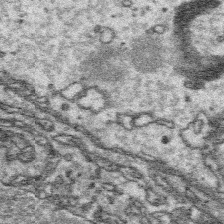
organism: Platynereis dumerilii